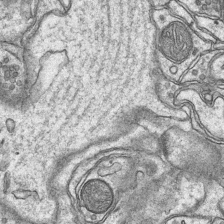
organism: Mouse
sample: CA1 Hippocampus